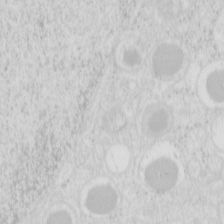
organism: Mouse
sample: Pancreas